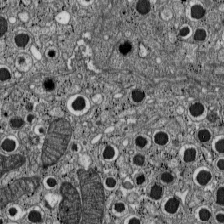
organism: C57BL Mouse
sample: Pancreatic islet